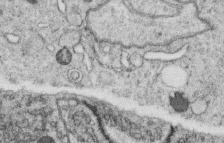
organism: C. elegans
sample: C. elegans oocyte; sperm cells